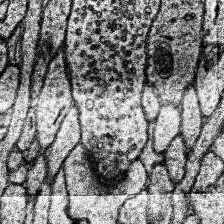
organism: Human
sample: Temporal Lobe